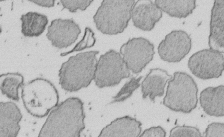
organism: E. coli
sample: Bacterial nucleoid